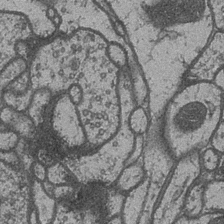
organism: Drosophila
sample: Optic medulla